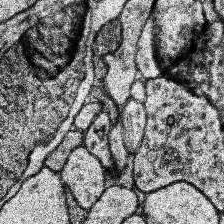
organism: Human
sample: Temporal Lobe